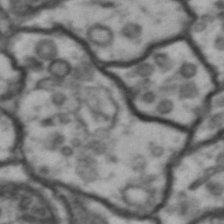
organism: Drosophila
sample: Brain